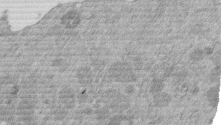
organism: Mouse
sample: Dividing mouse embryo 1 cell stage